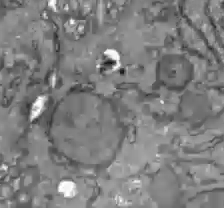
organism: C57BL Mouse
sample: Liver